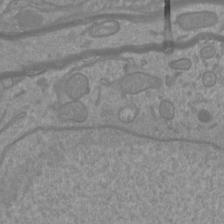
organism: Mouse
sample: Cortical neurons